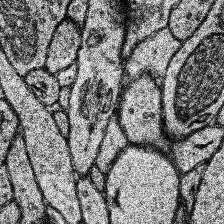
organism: Human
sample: Temporal Lobe